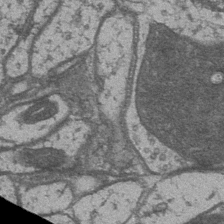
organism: Drosophila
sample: Optic medulla